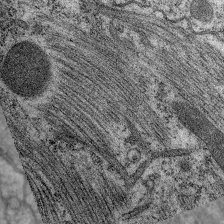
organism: C. elegans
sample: Pharynx